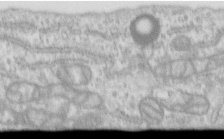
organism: Human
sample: Centriole in RPE cells